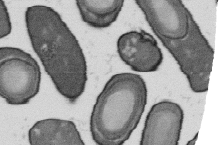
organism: B. subtilis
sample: Bacterial spore